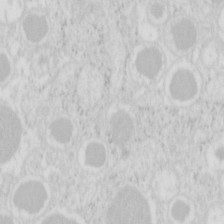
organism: Mouse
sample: Pancreas